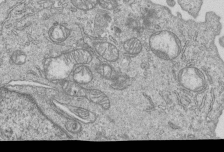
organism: Human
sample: MDA-MB-231 cells